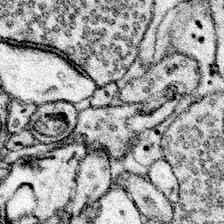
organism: Mouse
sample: Somatosensory cortex neuropil